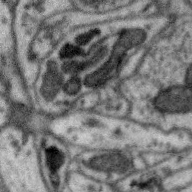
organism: Zebra finch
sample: Brain